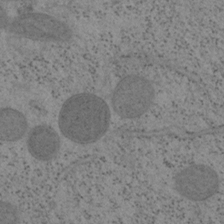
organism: Mouse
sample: OT-I killer T cells with ID8 ovarian cancer cells